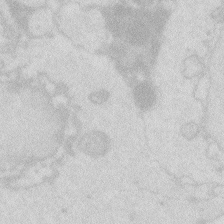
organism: Zebrafish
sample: Macrophage